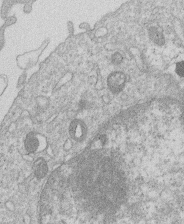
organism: Human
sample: Macrophage cells